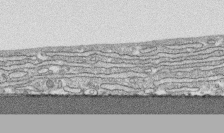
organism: Human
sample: CRL-1474